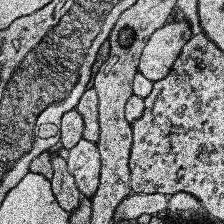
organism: Human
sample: Temporal Lobe